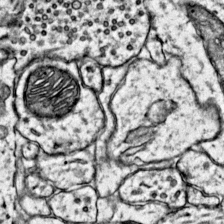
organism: Mouse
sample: Primary visual cortex